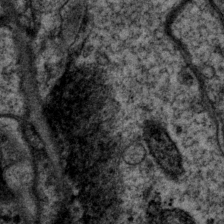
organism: P. pacificus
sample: Pharynx